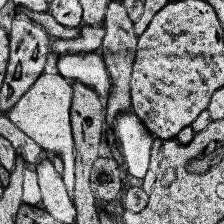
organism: Human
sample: Temporal Lobe